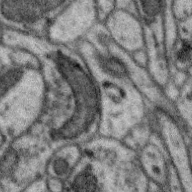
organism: Zebra finch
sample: Brain